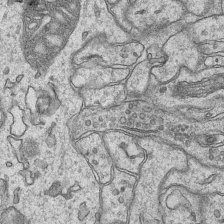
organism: Mouse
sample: CA1 Hippocampus